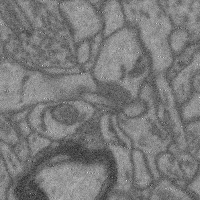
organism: Mouse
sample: Cerebral cortex